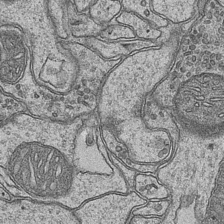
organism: Mouse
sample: CA1 Hippocampus